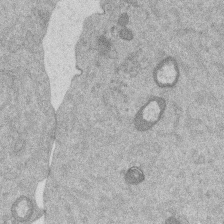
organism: Mouse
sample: Dividing mouse embryo 1 cell stage